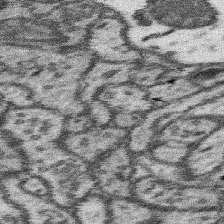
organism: Mouse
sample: Somatosensory cortex neuropil